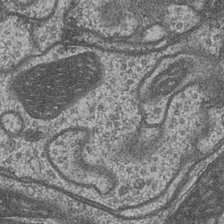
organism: Drosophila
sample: Optic medulla